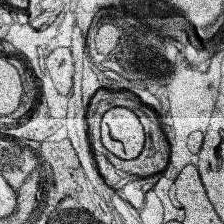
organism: Human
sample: Temporal Lobe